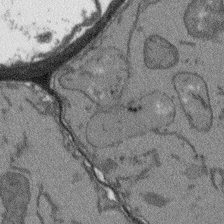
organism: Arabidopsis thaliana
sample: Root tip